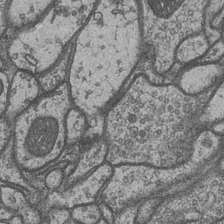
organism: Drosophila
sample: Optic medulla